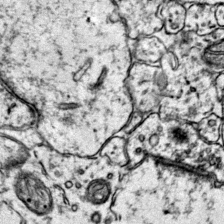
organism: Mouse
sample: Primary visual cortex